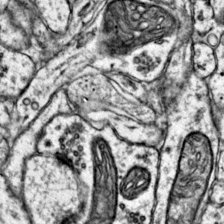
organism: Mouse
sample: Primary visual cortex